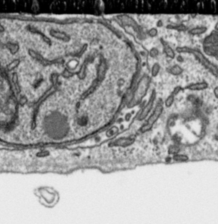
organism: Toxoplasma gondii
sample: Parasites in a vacuole inside a host cell